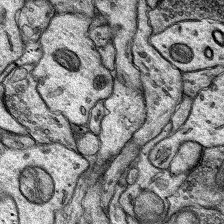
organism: Rat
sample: Hippocampus